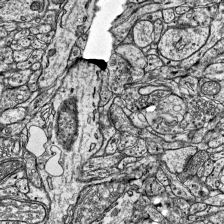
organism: Mouse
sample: Visual Cortex